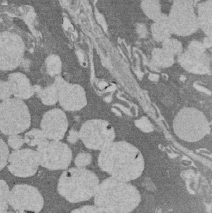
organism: Rat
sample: Salivary granule